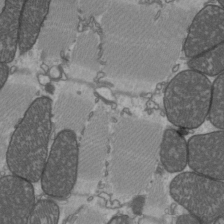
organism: C57BL Mouse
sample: Heart